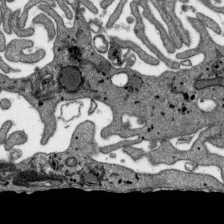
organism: Human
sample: Lung epithelial cells, uninfected (mock) control